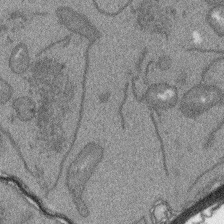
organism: Arabidopsis thaliana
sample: Root tip